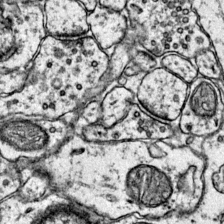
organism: Mouse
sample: Primary visual cortex